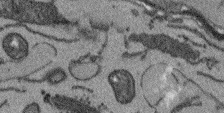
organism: Arabidopsis thaliana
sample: Root tip